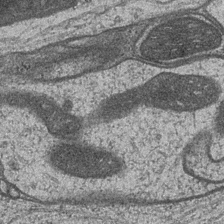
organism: Drosophila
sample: Optic medulla